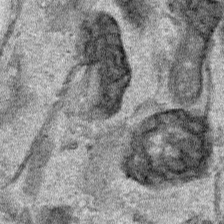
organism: Human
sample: Mitochondria in HCT116 cells